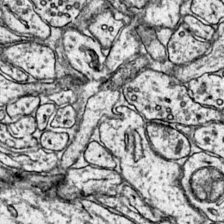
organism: Mouse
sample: Primary visual cortex